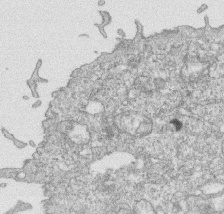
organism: Human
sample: HeLa cell HIV synapse